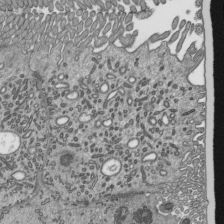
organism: Mouse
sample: Mouse epididymis efferent ductule cilia